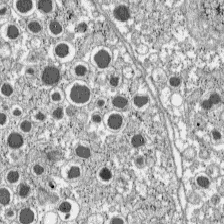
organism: C57BL Mouse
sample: Pancreatic islet